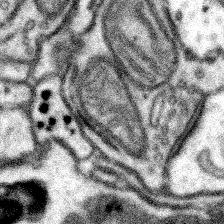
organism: Mouse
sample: Somatosensory cortex neuropil